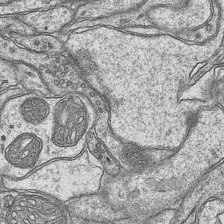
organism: Mouse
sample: CA1 Hippocampus